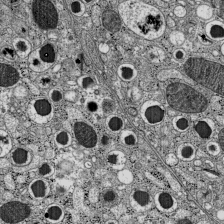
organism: C57BL Mouse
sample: Pancreatic islet